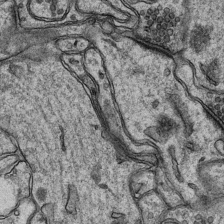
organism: Mouse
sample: CA1 Hippocampus